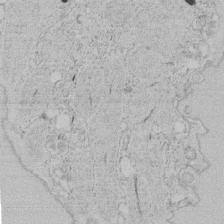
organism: Tetrahymena